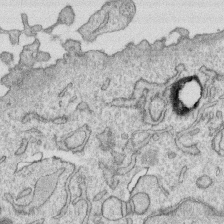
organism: Human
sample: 1205lu cells